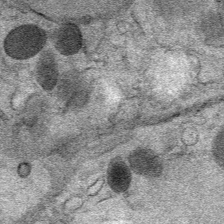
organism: Mouse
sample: Mouse Salivary gland